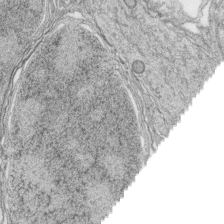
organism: Zebrafish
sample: synaptic ribbons in rod cells and cone cells